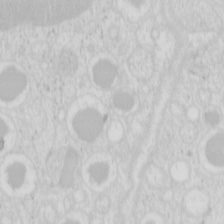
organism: Mouse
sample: Pancreas